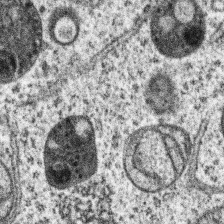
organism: Human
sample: HeLa cells